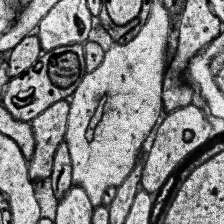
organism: Human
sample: Temporal Lobe